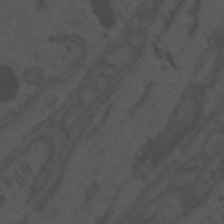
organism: Mouse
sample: Suprachiasmatic nucleus